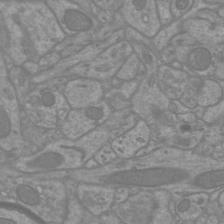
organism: Mouse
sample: Cortical neurons